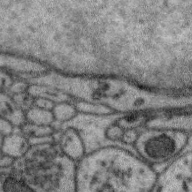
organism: Zebra finch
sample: Brain